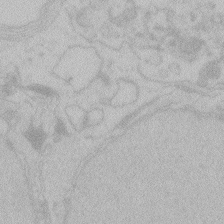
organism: Zebrafish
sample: Macrophage infected with Toxoplasma gondii